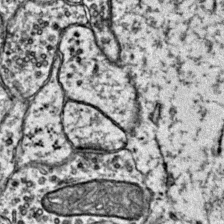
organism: Mouse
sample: Primary visual cortex